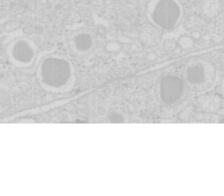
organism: Mouse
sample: Pancreas